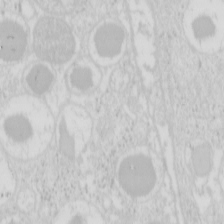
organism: Mouse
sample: Pancreas